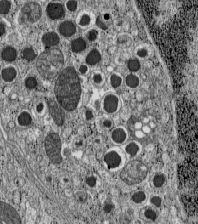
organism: C57BL Mouse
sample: Pancreatic islet